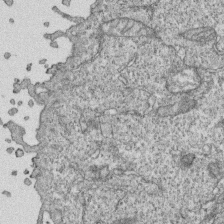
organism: Human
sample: HeLa cell HIV synapse